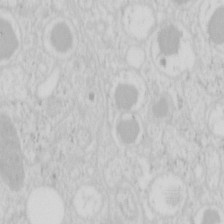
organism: Mouse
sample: Pancreas